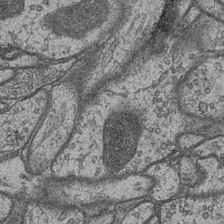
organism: Drosophila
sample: Optic medulla